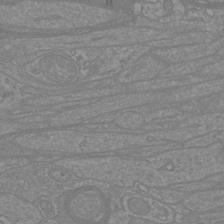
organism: Mouse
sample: Cortical neurons